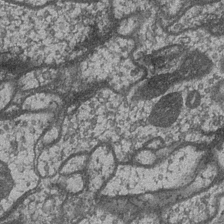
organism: Drosophila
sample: Optic medulla